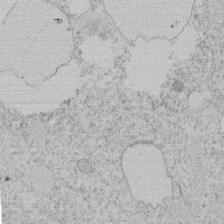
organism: Tetrahymena